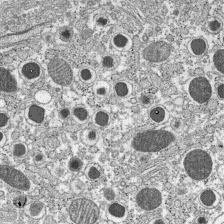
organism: C57BL Mouse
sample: Pancreatic islet